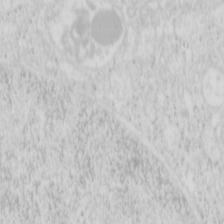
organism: Mouse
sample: Pancreas